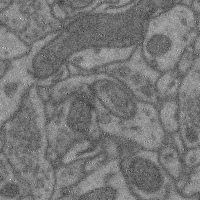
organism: Mouse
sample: Cerebral cortex